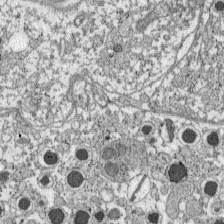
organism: C57BL Mouse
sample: Pancreatic islet